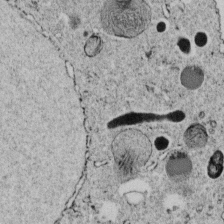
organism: C. elegans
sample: C. elegans embryo early stage